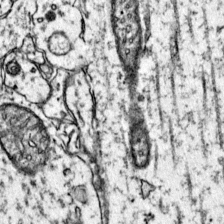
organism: Mouse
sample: Primary visual cortex